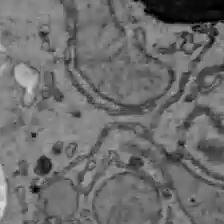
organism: C57BL Mouse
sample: Liver